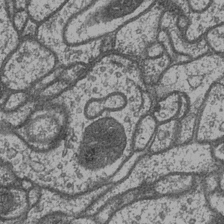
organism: Drosophila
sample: Optic medulla